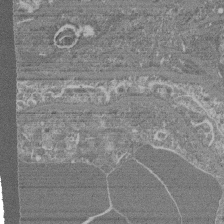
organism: Mouse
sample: Glomerulus